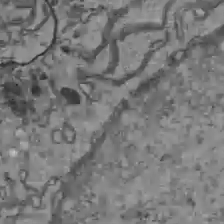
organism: C57BL Mouse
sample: Liver